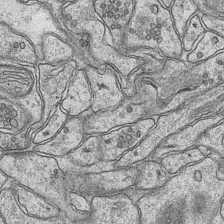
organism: Mouse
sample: CA1 Hippocampus